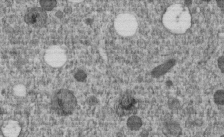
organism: C. elegans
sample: C. elegans embryo early stage